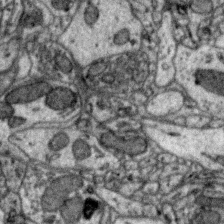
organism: Zebra finch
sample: Brain